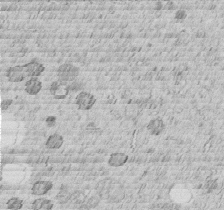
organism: C. elegans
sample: C. elegans embryo early stage